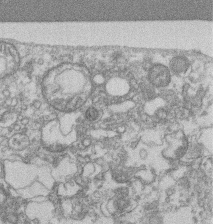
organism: Mouse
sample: T cell stromal cell synapse